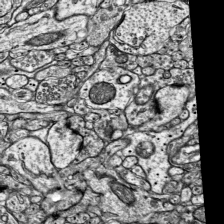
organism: Mouse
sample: Visual Cortex